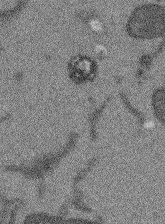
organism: Arabidopsis thaliana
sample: Root tip